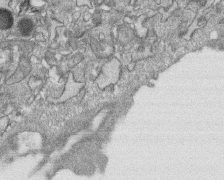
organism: Human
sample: CRL-1474